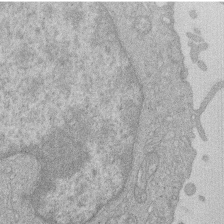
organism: Human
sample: Macrophage cells